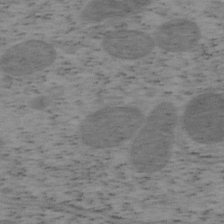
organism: Mouse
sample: OT-I killer T cells with ID8 ovarian cancer cells